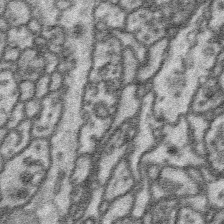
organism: Platynereis dumerilii